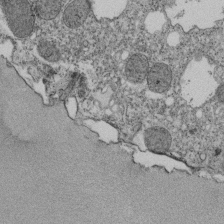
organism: Tetrahymena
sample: Cilia in tetrahymena